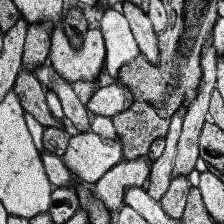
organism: Human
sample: Temporal Lobe